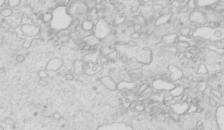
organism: Mouse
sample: Multiciliated cells